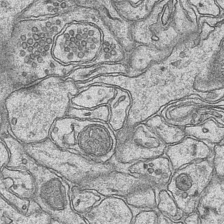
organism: Mouse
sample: CA1 Hippocampus